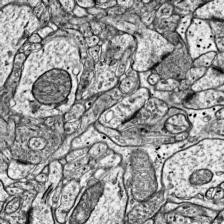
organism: Mouse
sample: Visual Cortex